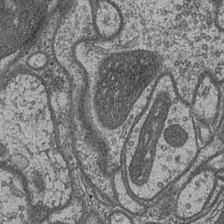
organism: Drosophila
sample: Optic medulla